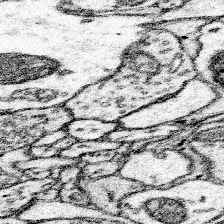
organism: Mouse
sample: Somatosensory cortex neuropil